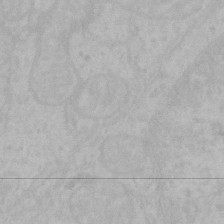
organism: Mouse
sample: Choroid plexus